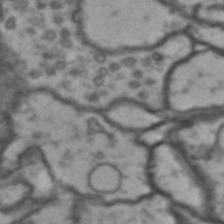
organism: Drosophila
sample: Brain